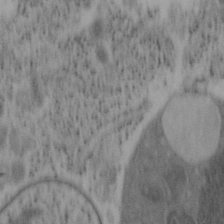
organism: Mouse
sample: OT-I killer T cells with ID8 ovarian cancer cells